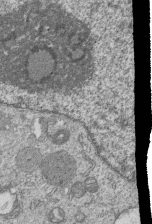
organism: Human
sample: MDA-MB-231 cells